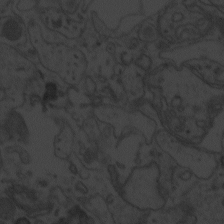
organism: Zebrafish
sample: Macrophage infected with Toxoplasma gondii